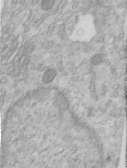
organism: Human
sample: Centriole in RPE cells